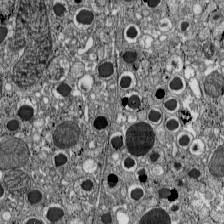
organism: C57BL Mouse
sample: Pancreatic islet